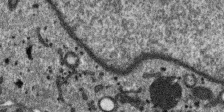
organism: Human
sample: Lung epithelial cells infected with SARS-CoV-2